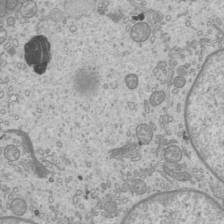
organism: Mouse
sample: Cilia; mouse epididymis